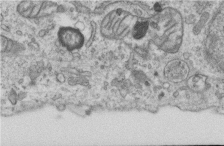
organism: Human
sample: Centriole in RPE cells